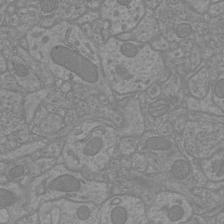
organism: Mouse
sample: Cortical neurons